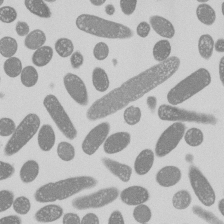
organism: E. coli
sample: Bacterial nucleoid